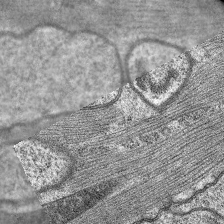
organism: C. elegans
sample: Pharynx